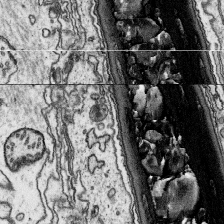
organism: Platynereis dumerilii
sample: Parapodia